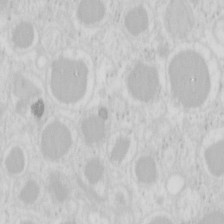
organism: Mouse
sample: Pancreas